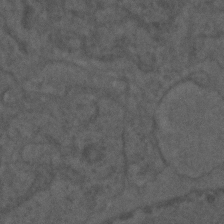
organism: C. elegans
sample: C. elegans embryo